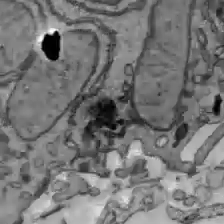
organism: C57BL Mouse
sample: Liver